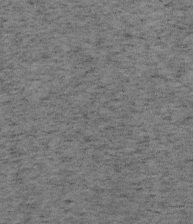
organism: Mouse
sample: OT-I killer T cells with ID8 ovarian cancer cells